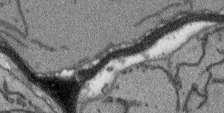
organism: Arabidopsis thaliana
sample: Root tip